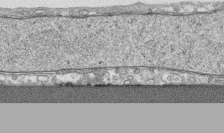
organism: Human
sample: CRL-1474